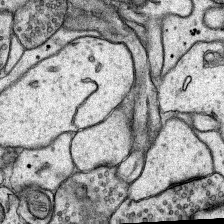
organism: Rat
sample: Hippocampus